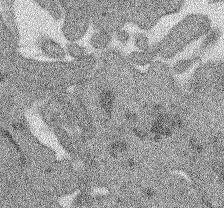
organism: Human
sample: HeLa cells